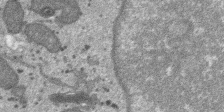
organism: Human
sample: Lung epithelial cells infected with SARS-CoV-2